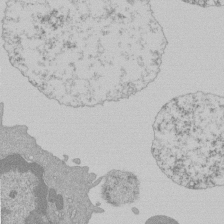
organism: Mouse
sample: Activated Pmel transgenic CD8+ T Cells